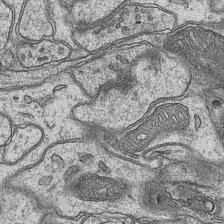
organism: Mouse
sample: CA1 Hippocampus